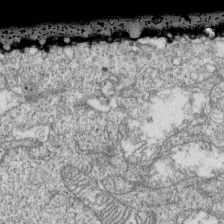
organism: Human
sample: HeLa cell HIV synapse